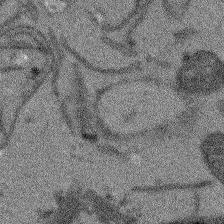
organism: Arabidopsis thaliana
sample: Root tip